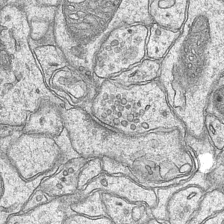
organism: Mouse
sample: CA1 Hippocampus